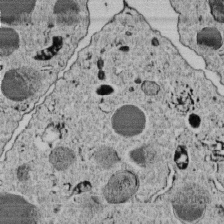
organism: C. elegans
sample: C. elegans embryo early stage